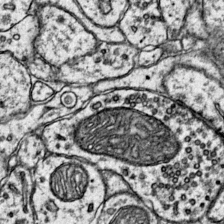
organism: Mouse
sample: Primary visual cortex